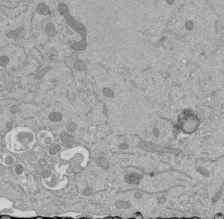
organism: Mouse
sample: ED-1 cell nuclei; centrioles